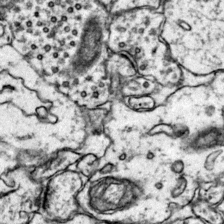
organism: Mouse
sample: Primary visual cortex